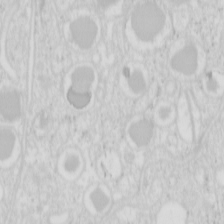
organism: Mouse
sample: Pancreas